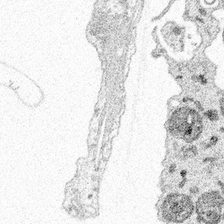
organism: Spongilla lacustris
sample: Multiple